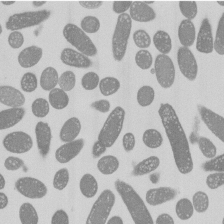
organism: E. coli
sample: Bacterial nucleoid